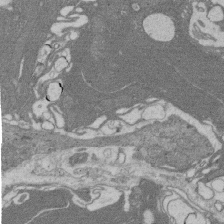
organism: Rat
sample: Salivary granule